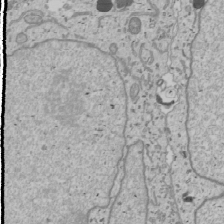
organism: Human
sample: Mitochondria in U2OS cells